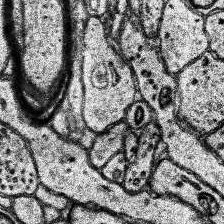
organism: Human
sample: Temporal Lobe